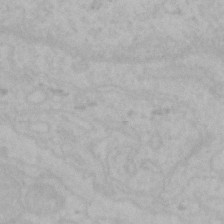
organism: Mouse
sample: Choroid plexus